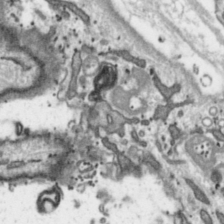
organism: Toxoplasma gondii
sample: Parasites in a vacuole inside a host cell